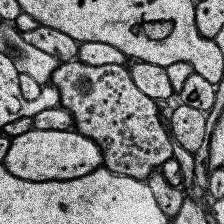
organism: Human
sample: Temporal Lobe